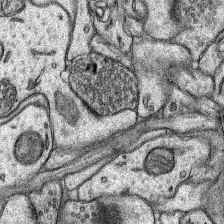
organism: Rat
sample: Hippocampus